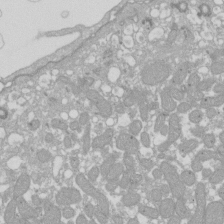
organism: Xenopus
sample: Cilia; centrioles in frog embryo cells